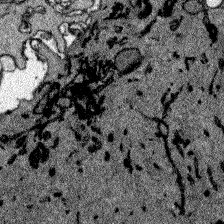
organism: Zebrafish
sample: Larval olfactory bulb